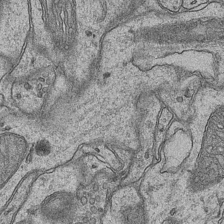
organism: Mouse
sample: CA1 Hippocampus